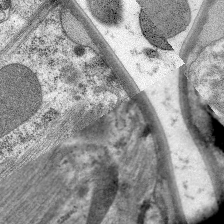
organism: C. elegans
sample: Pharynx